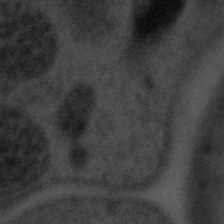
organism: Tuwongella immobilis